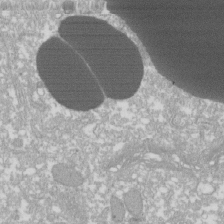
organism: Xenopus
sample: Cilia; centrioles in frog embryo cells